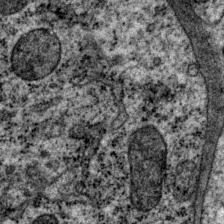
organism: P. pacificus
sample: Pharynx